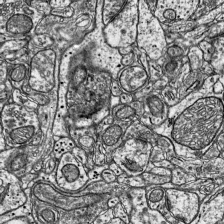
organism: Mouse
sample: Visual Cortex